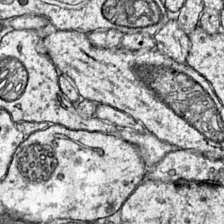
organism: Mouse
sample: Primary visual cortex